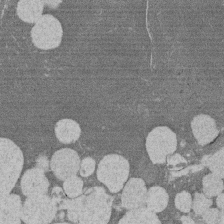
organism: Rat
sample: Salivary granule